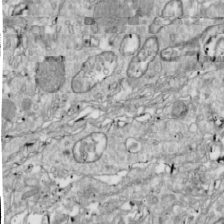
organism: Drosophila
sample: Cell division; meiosis; drosophila spermatocytes